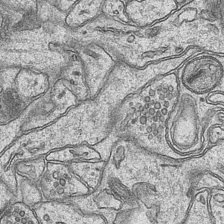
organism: Mouse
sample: CA1 Hippocampus